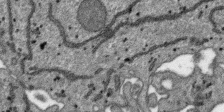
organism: Human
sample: Lung epithelial cells, uninfected (mock) control